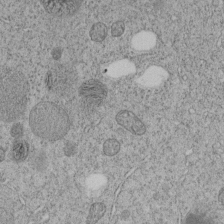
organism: C. elegans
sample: C. elegans embryo early stage